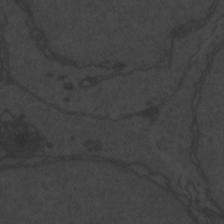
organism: Zebrafish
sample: Macrophage infected with Toxoplasma gondii